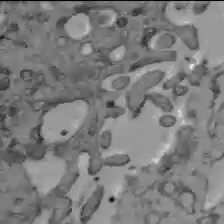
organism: C57BL Mouse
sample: Liver